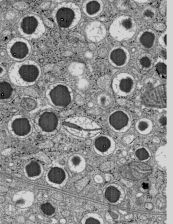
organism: C57BL Mouse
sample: Pancreatic islet